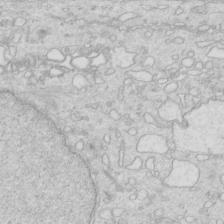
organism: Mouse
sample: Multiciliated cells